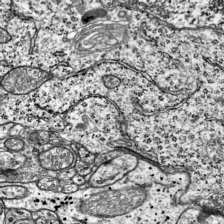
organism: Mouse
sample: Visual Cortex